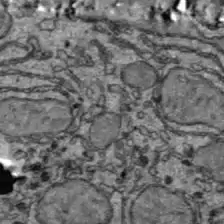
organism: C57BL Mouse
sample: Liver